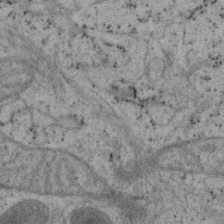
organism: Human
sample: HeLa cells